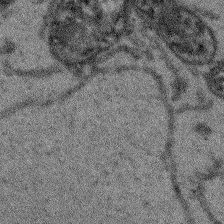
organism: Arabidopsis thaliana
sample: Root tip